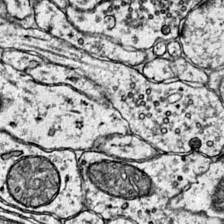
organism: Mouse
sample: Primary visual cortex